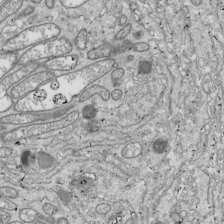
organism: Drosophila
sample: Cell division; meiosis; drosophila spermatocytes